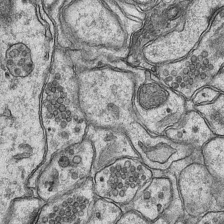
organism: Mouse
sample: CA1 Hippocampus